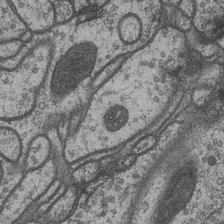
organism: Drosophila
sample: Optic medulla